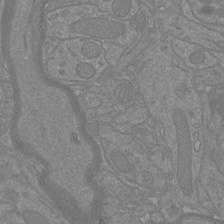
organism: Mouse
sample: Cortical neurons